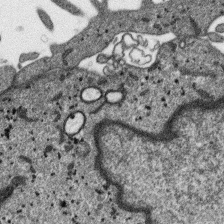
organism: Human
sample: Lung epithelial cells infected with SARS-CoV-2